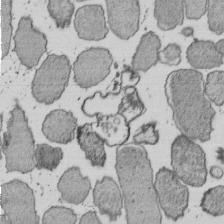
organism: E. coli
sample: Bacterial nucleoid